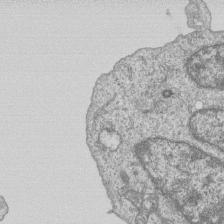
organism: Human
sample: MDA-MB-231 cells